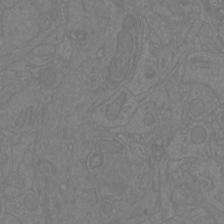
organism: Mouse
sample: Cortical neurons